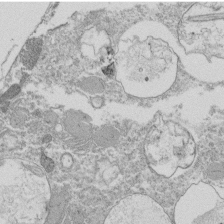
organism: Tetrahymena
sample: Cilia in tetrahymena